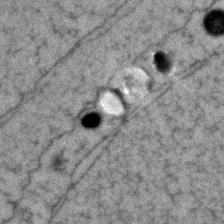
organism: Zebrafish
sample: Zebrafish embryo